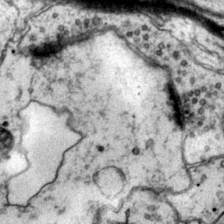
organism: Mouse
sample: Primary visual cortex